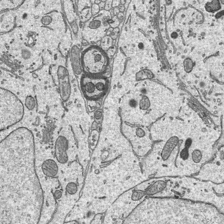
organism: Mouse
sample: Suprachiasmatic nucleus